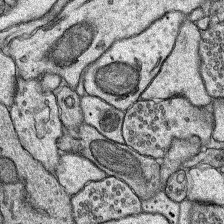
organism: Rat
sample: Hippocampus